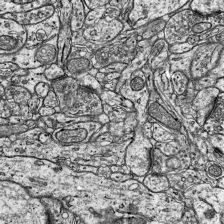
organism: Mouse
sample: Visual Cortex